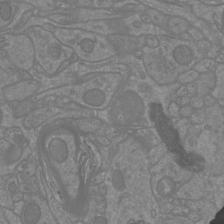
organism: Mouse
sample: Cortical neurons